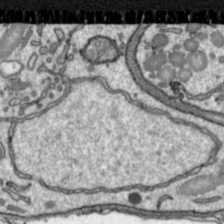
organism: Toxoplasma gondii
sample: Parasites in a vacuole inside a host cell